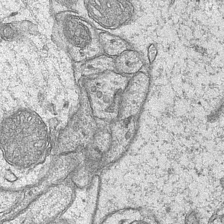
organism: Mouse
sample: CA1 Hippocampus